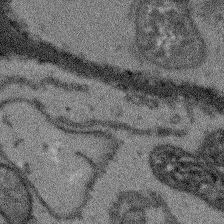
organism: Arabidopsis thaliana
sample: Root tip